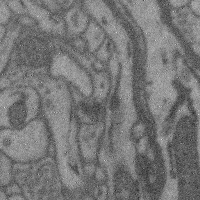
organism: Mouse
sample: Cerebral cortex